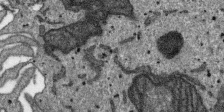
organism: Human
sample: Lung epithelial cells, uninfected (mock) control